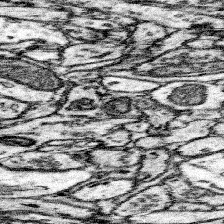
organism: Mouse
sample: Somatosensory cortex neuropil